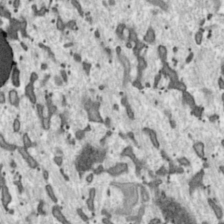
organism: Toxoplasma gondii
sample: Parasites in a vacuole inside a host cell